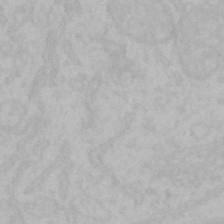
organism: Mouse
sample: Choroid plexus